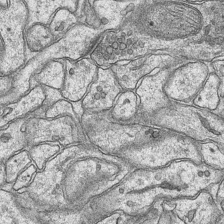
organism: Mouse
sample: CA1 Hippocampus